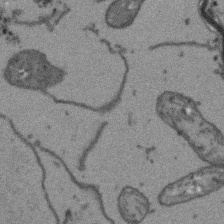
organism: Arabidopsis thaliana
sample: Root tip